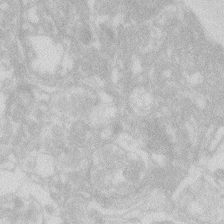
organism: Zebrafish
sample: Macrophage